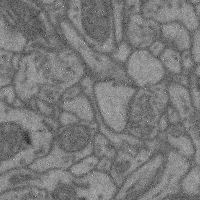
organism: Mouse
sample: Cerebral cortex